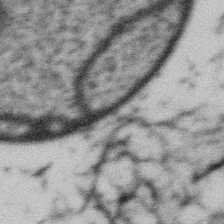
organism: Gemmata obscuriglobus